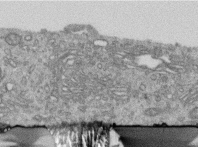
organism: Human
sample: Centriole in RPE cells